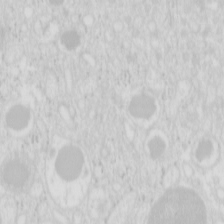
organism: Mouse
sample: Pancreas